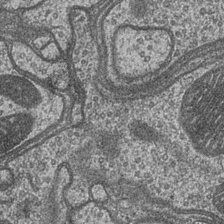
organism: Drosophila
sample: Optic medulla